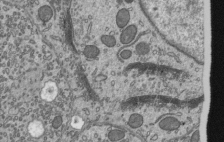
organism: Mouse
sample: Mouse epididymis efferent ductule cilia